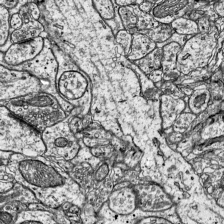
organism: Mouse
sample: Visual Cortex